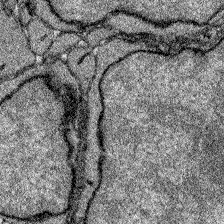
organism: Zebrafish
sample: Larval olfactory bulb